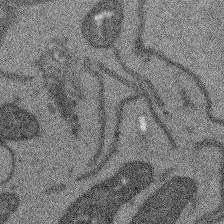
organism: Arabidopsis thaliana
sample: Root tip